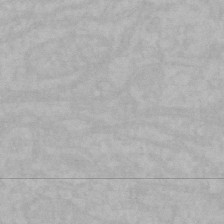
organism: Mouse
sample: Choroid plexus